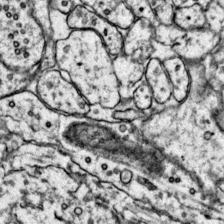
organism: Mouse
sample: Primary visual cortex